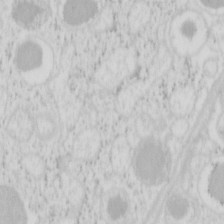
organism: Mouse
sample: Pancreas